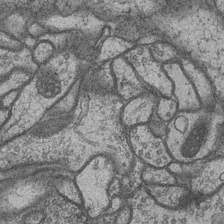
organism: Drosophila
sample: Optic medulla